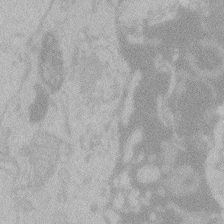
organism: Zebrafish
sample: Macrophage infected with Toxoplasma gondii